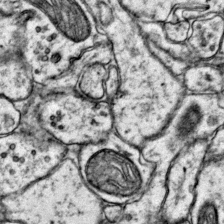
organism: Mouse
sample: Primary visual cortex